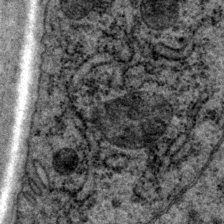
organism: P. pacificus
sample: Pharynx